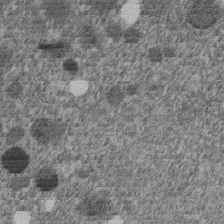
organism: C. elegans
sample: C. elegans embryo early stage